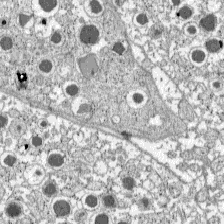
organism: C57BL Mouse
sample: Pancreatic islet